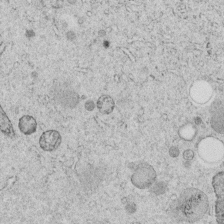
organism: C. elegans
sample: C. elegans embryo early stage